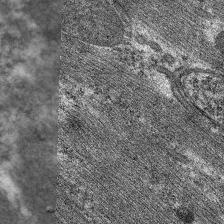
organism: C. elegans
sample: Pharynx